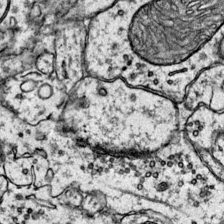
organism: Mouse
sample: Primary visual cortex